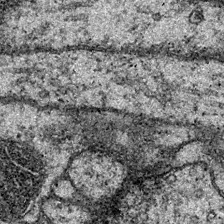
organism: Drosophila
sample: Ventral Nerve Cord